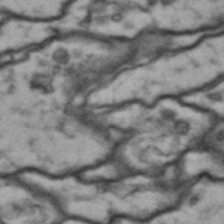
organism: Drosophila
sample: Brain